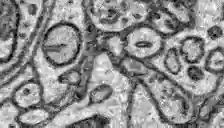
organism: Zebrafish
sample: Brain